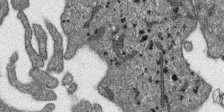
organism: Human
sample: Lung epithelial cells infected with SARS-CoV-2